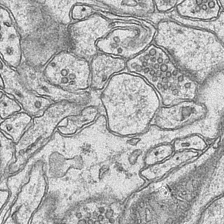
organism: Mouse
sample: CA1 Hippocampus